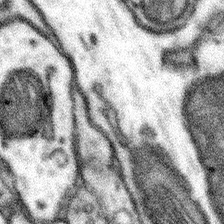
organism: Mouse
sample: Somatosensory cortex neuropil